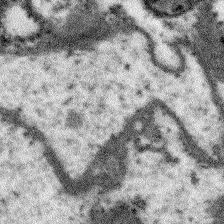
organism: Arabidopsis thaliana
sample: Root tip